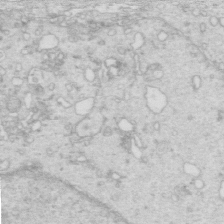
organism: Mouse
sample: Multiciliated cells